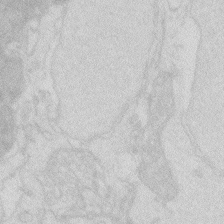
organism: Zebrafish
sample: Macrophage